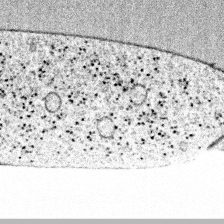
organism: Human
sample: HeLa cells